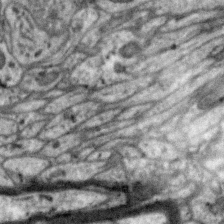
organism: Zebra finch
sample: Brain